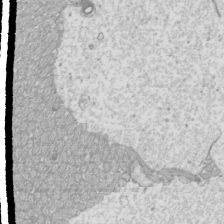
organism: Mouse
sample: Cilia; mouse epididymis